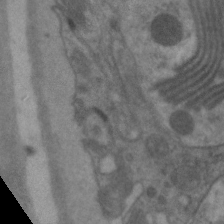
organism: C. elegans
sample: Pharynx